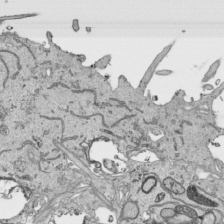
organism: Human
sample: Mitochondria in HCT116 cells